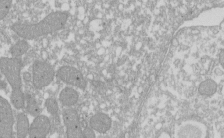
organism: Xenopus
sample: Cilia; centrioles in frog embryo cells